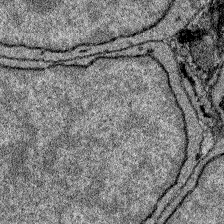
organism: Zebrafish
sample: Larval olfactory bulb